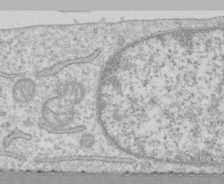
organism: Human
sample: CRL-1474